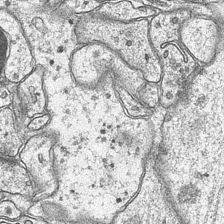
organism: Mouse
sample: CA1 Hippocampus